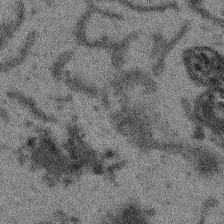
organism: Arabidopsis thaliana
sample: Root tip